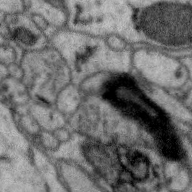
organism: Zebra finch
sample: Brain